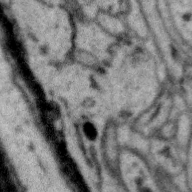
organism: Zebra finch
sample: Brain